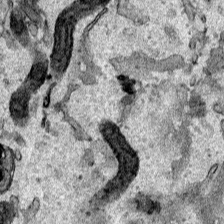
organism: Human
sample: Mitochondria in HCT116 cells